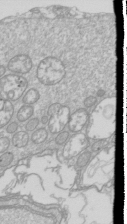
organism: Drosophila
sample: Cell division; meiosis; drosophila spermatocytes